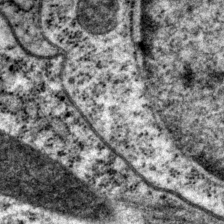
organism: P. pacificus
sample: Pharynx